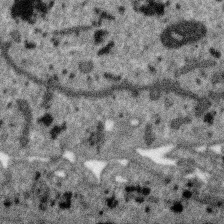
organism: Human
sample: Lung epithelial cells infected with SARS-CoV-2